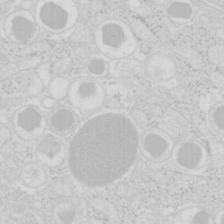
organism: Mouse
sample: Pancreas